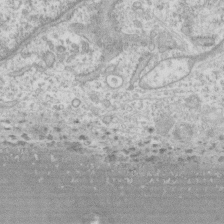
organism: Human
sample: CRL-1474